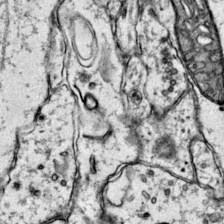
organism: Mouse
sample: Primary visual cortex